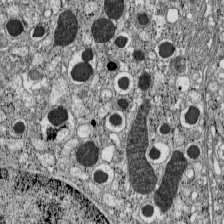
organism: C57BL Mouse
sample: Pancreatic islet